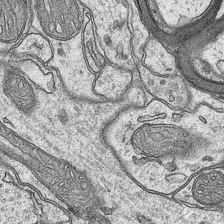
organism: Mouse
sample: CA1 Hippocampus